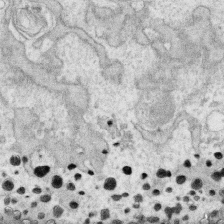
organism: Human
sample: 1205lu cells